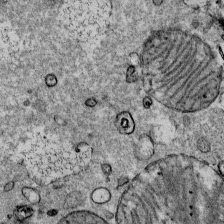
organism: Mouse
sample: Mouse Salivary gland